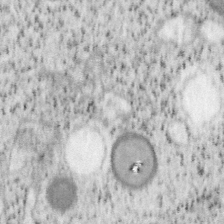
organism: Mouse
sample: OT-I killer T cells with ID8 ovarian cancer cells